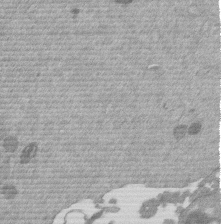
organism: Mouse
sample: Dividing mouse embryo 1 cell stage